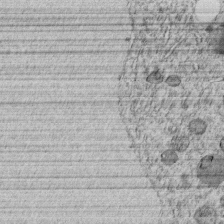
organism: C. elegans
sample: C. elegans embryo early stage